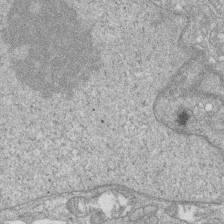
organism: Human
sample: HeLa cell HIV synapse